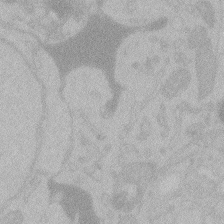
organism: Zebrafish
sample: Macrophage infected with Toxoplasma gondii